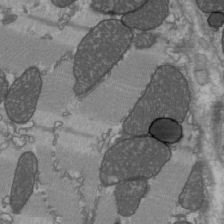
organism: C57BL Mouse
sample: Heart